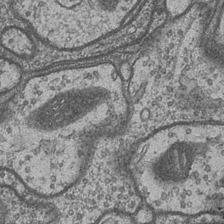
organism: Drosophila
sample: Optic medulla